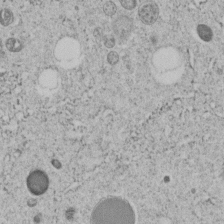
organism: C. elegans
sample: C. elegans embryo early stage